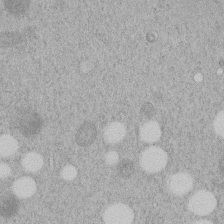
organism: C. elegans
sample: C. elegans embryo early stage